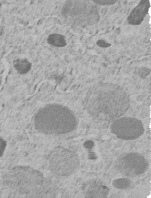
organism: C. elegans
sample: C. elegans embryo early stage